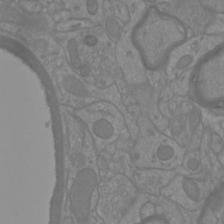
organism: Mouse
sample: Cortical neurons